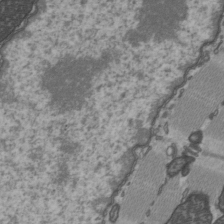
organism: C57BL Mouse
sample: Heart